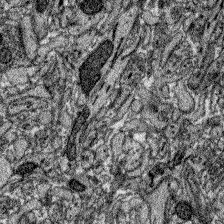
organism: Zebrafish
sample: Larval olfactory bulb